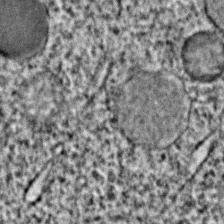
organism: C. elegans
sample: C. elegans embryo